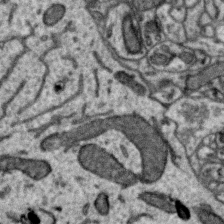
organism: Zebra finch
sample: Brain